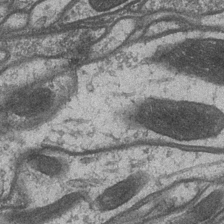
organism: Drosophila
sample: Optic medulla